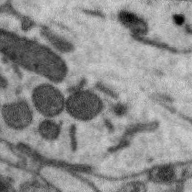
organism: Zebra finch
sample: Brain